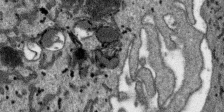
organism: Human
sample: Lung epithelial cells, uninfected (mock) control